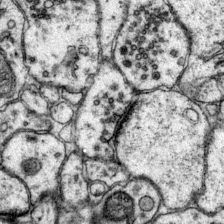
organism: Mouse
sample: Primary visual cortex